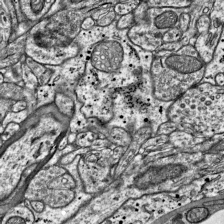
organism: Mouse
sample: Visual Cortex